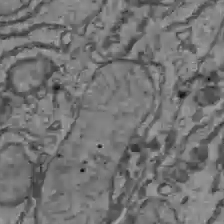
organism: C57BL Mouse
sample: Liver